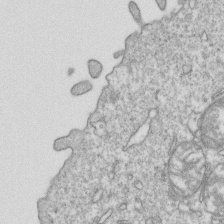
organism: Mouse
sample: Activated OT-1 CD8+ T cells